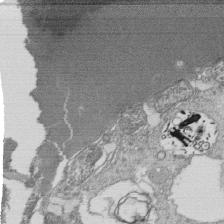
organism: Tetrahymena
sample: Cilia in tetrahymena